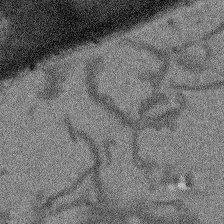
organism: Arabidopsis thaliana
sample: Root tip